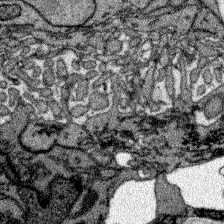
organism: Zebrafish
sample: Larval olfactory bulb